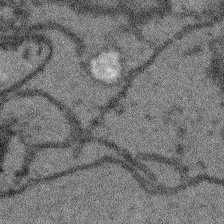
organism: Arabidopsis thaliana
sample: Root tip